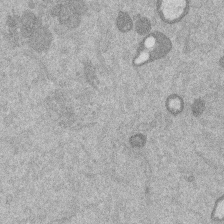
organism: Mouse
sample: Dividing mouse embryo 1 cell stage